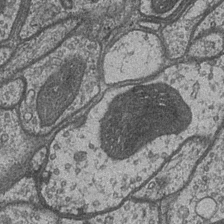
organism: Drosophila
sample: Optic medulla